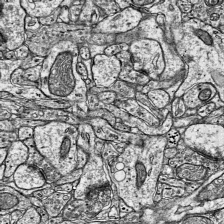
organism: Mouse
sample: Visual Cortex